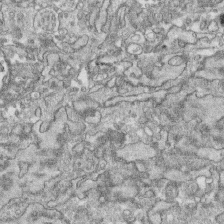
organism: Human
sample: CRL-1474